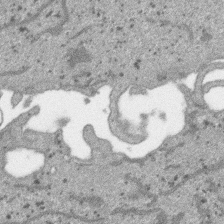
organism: Human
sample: Lung epithelial cells infected with SARS-CoV-2